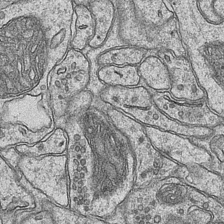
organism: Mouse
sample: CA1 Hippocampus